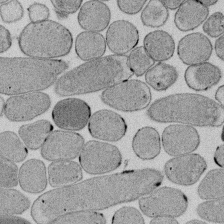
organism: E. coli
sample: Bacterial nucleoid